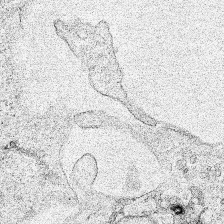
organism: Human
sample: Mitochondria in HCT116 cells